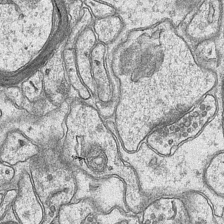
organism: Mouse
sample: CA1 Hippocampus